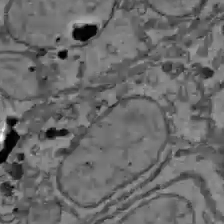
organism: C57BL Mouse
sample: Liver